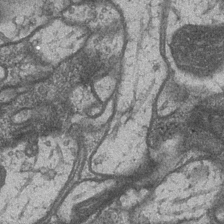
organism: Drosophila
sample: Optic medulla